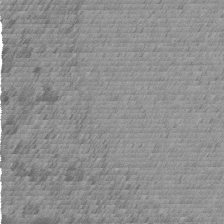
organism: C. elegans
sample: C. elegans embryo early stage